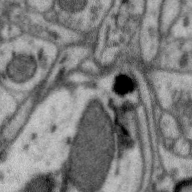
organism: Zebra finch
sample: Brain